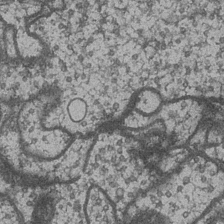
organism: Drosophila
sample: Optic medulla